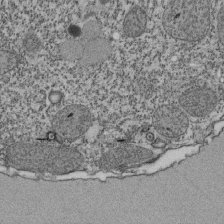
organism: Tetrahymena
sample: Cilia in tetrahymena